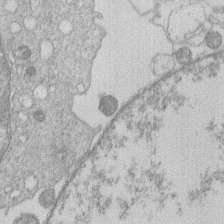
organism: Human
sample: Macrophage cells